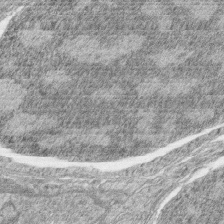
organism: Zebrafish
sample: synaptic ribbons in rod cells and cone cells